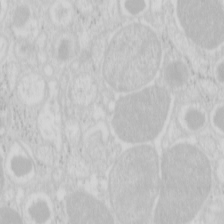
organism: Mouse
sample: Pancreas